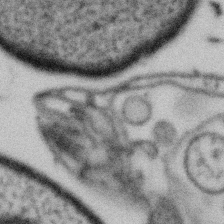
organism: Gemmata obscuriglobus